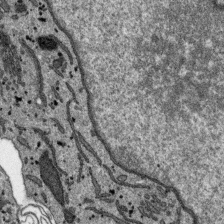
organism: Human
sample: Lung epithelial cells, uninfected (mock) control